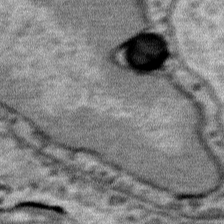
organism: Mouse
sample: Mouse Salivary gland